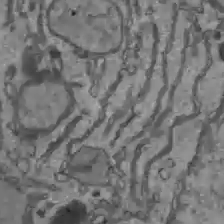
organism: C57BL Mouse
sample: Liver